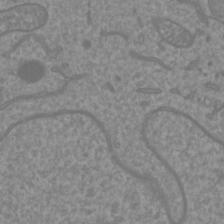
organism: Mouse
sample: Cortical neurons